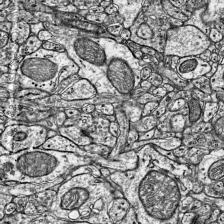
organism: Mouse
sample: Visual Cortex